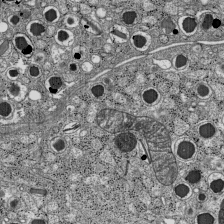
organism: C57BL Mouse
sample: Pancreatic islet